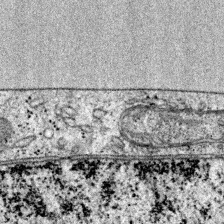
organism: Human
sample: HeLa cells